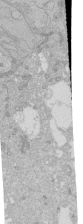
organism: Human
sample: Caco-2 cells